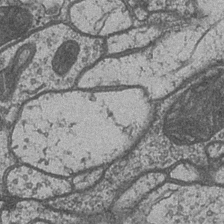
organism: Drosophila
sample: Optic medulla